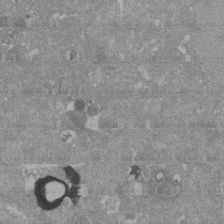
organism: Mouse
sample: ED-1 cell nuclei; centrioles